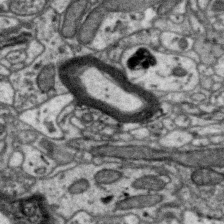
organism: Zebra finch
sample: Brain